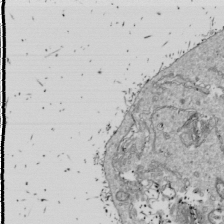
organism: Drosophila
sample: Cell division; meiosis; drosophila spermatocytes